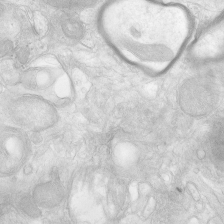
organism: Human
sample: Neocortex